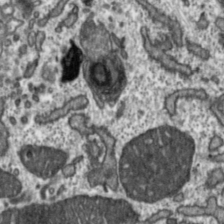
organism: Toxoplasma gondii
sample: Parasites in a vacuole inside a host cell